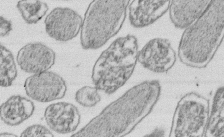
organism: E. coli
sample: Bacterial nucleoid